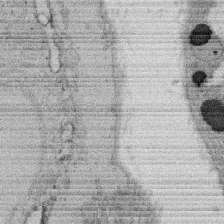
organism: Rat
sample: Salivary granule